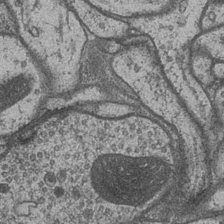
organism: Drosophila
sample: Optic medulla